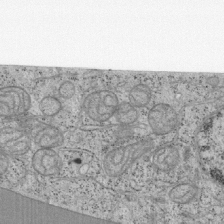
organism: Human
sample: HeLa cells